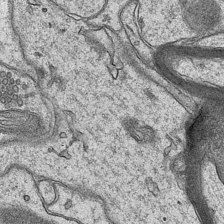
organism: Mouse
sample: CA1 Hippocampus